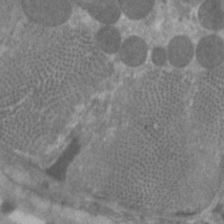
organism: C. elegans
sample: Pharynx